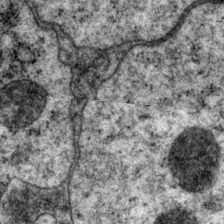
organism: P. pacificus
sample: Pharynx